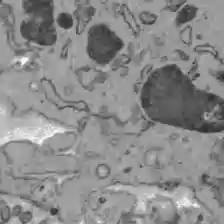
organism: C57BL Mouse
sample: Liver